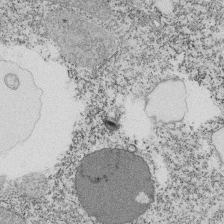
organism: Tetrahymena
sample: Cilia in tetrahymena